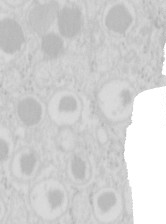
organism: Mouse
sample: Pancreas